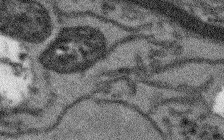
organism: Arabidopsis thaliana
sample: Root tip